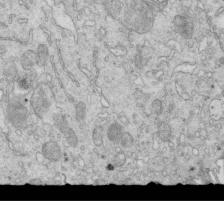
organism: Mouse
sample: Multiciliated cells